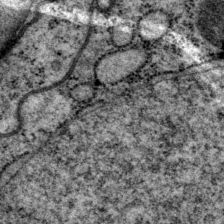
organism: P. pacificus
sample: Pharynx